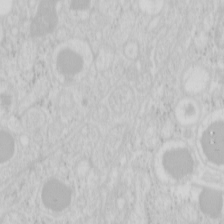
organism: Mouse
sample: Pancreas